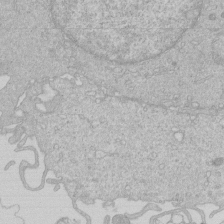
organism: Human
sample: Macrophage cells